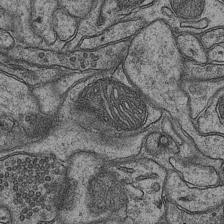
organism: Mouse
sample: CA1 Hippocampus